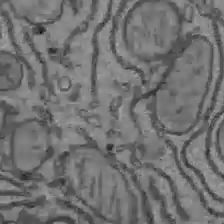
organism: C57BL Mouse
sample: Liver